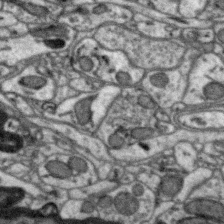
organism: Zebra finch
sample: Brain